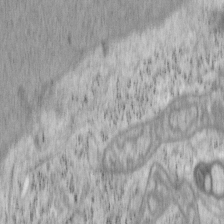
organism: Human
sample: HeLa cells